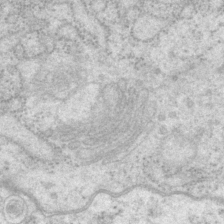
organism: P. pacificus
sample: Pharynx